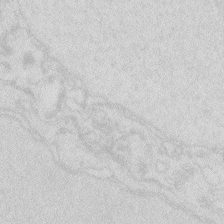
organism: Zebrafish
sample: Macrophage